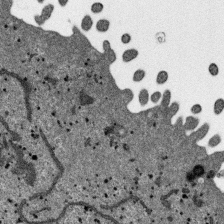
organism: Human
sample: Lung epithelial cells, uninfected (mock) control